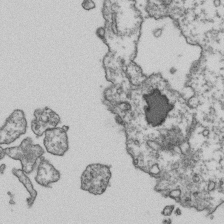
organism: Human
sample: Activated Jurkat CD4+ T cells